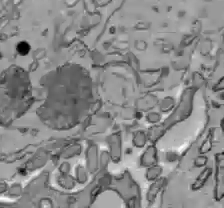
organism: C57BL Mouse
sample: Liver